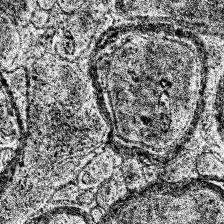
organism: Human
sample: Temporal Lobe